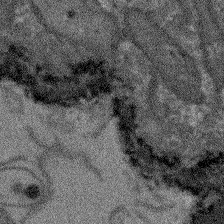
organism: Arabidopsis thaliana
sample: Root tip